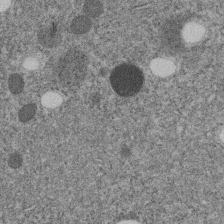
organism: C. elegans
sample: C. elegans embryo early stage